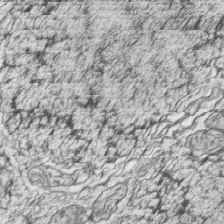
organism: Zebrafish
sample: synaptic ribbons in rod cells and cone cells